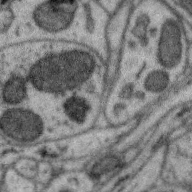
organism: Zebra finch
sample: Brain